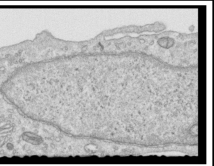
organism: Human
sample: Centriole in RPE cells